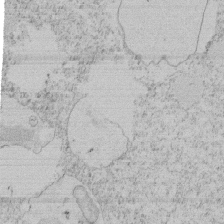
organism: Tetrahymena